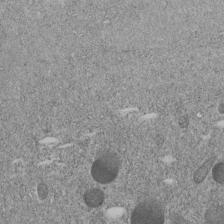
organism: C. elegans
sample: C. elegans embryo early stage